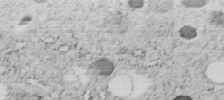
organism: C. elegans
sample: C. elegans embryo early stage